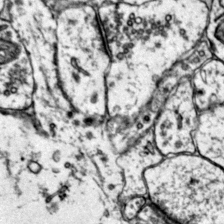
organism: Mouse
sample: Primary visual cortex